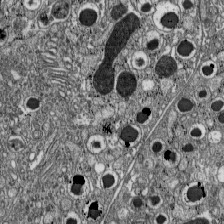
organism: C57BL Mouse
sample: Pancreatic islet